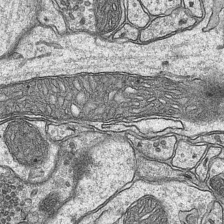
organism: Mouse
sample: CA1 Hippocampus